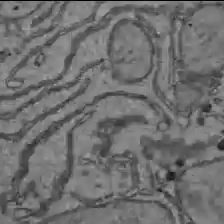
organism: C57BL Mouse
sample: Liver